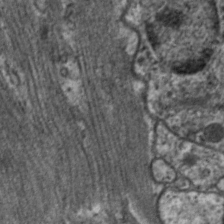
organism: C. elegans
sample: Pharynx